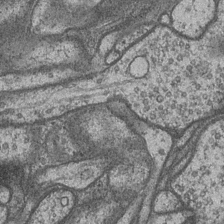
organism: Drosophila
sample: Optic medulla